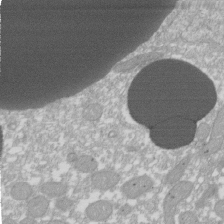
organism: Xenopus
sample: Cilia; centrioles in frog embryo cells